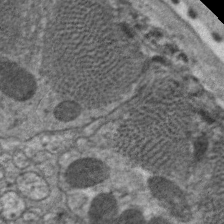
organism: C. elegans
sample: Pharynx